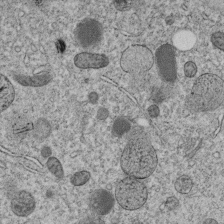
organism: C. elegans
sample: C. elegans embryo early stage